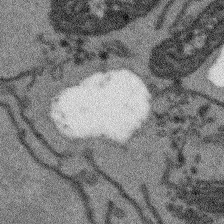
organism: Arabidopsis thaliana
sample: Root tip